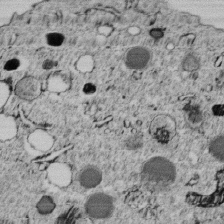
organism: C. elegans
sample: C. elegans embryo early stage